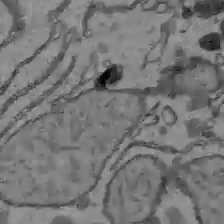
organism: C57BL Mouse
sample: Liver